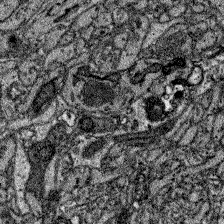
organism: Zebrafish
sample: Larval olfactory bulb